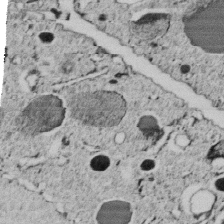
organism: C. elegans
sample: C. elegans embryo early stage